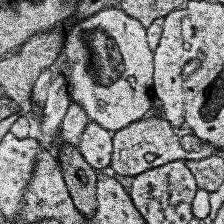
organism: Human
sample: Temporal Lobe